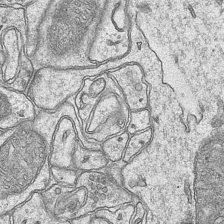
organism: Mouse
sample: CA1 Hippocampus